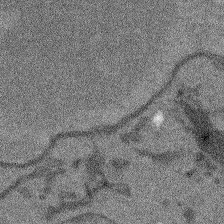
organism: Arabidopsis thaliana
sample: Root tip